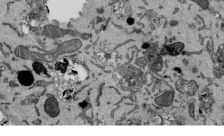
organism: Mouse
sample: ED-1 cell nuclei; centrioles